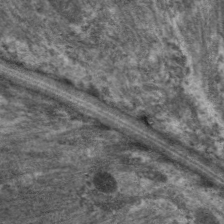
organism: C. elegans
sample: Pharynx